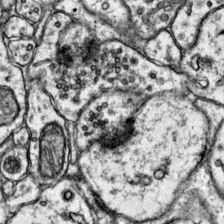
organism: Mouse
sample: Primary visual cortex